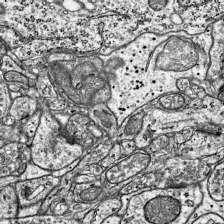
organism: Mouse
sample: Visual Cortex